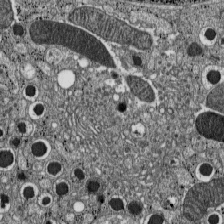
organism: C57BL Mouse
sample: Pancreatic islet